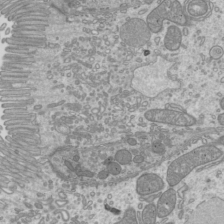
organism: Mouse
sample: Cilia; mouse epididymis